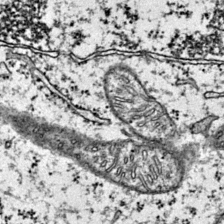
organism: Mouse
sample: Primary visual cortex